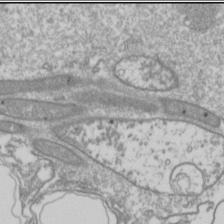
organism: Drosophila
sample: Cell division; meiosis; drosophila spermatocytes